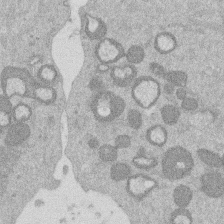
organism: Mouse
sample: Dividing mouse embryo 1 cell stage